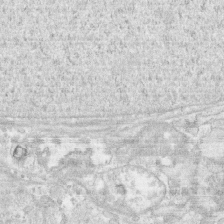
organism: Human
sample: CRL-1474